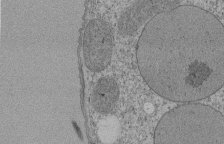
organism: Tetrahymena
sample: Cilia in tetrahymena